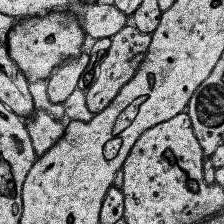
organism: Human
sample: Temporal Lobe